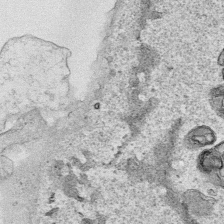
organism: Human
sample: Mitochondria in HCT116 cells